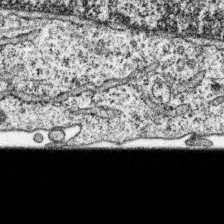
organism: Human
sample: HeLa cells